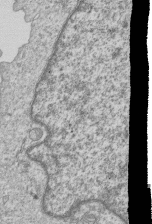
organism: Human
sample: MDA-MB-231 cells